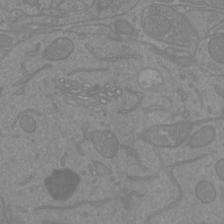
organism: Mouse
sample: Cortical neurons